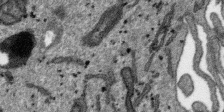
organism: Human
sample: Lung epithelial cells, uninfected (mock) control